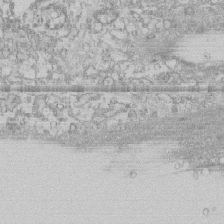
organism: Human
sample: CRL-1474